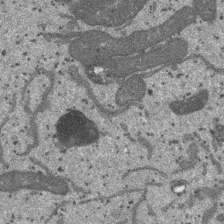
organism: Human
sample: Lung epithelial cells infected with SARS-CoV-2